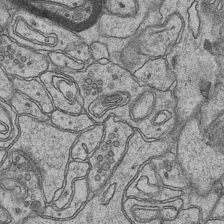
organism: Mouse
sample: CA1 Hippocampus